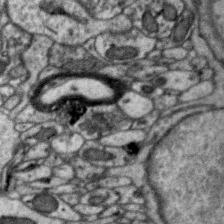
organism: Zebra finch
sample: Brain